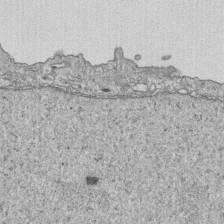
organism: Human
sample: HeLa cell HIV synapse